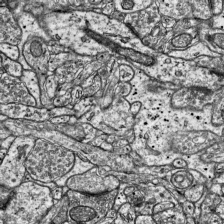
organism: Mouse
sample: Visual Cortex